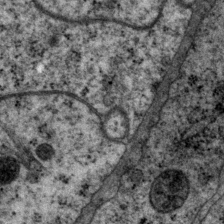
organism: P. pacificus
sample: Pharynx